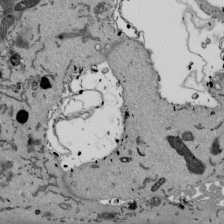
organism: Mouse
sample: ED-1 cell nuclei; centrioles